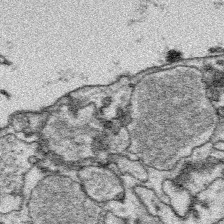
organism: Platynereis dumerilii